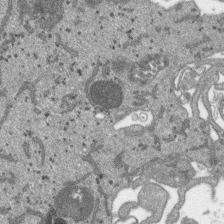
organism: Human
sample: Lung epithelial cells infected with SARS-CoV-2